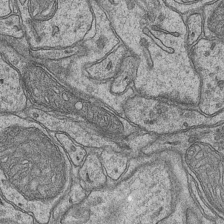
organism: Mouse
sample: CA1 Hippocampus